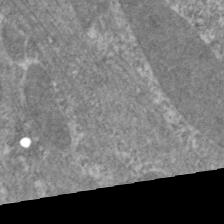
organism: C. elegans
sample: Pharynx